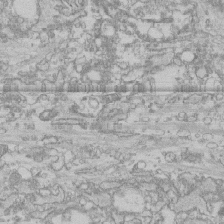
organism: Human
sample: CRL-1474